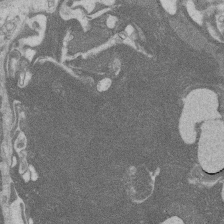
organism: Rat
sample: Salivary granule